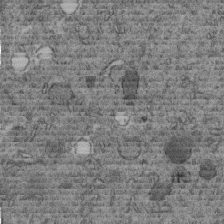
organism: C. elegans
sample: C. elegans embryo early stage